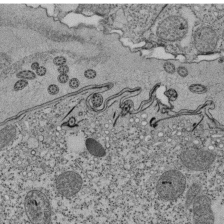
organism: Tetrahymena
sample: Cilia in tetrahymena